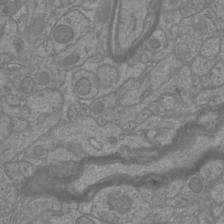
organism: Mouse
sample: Cortical neurons